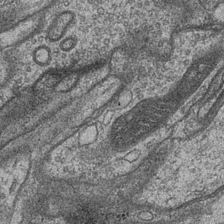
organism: Drosophila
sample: Optic medulla